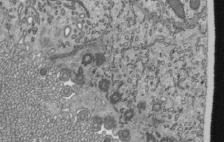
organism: Mouse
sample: Mouse epididymis efferent ductule cilia